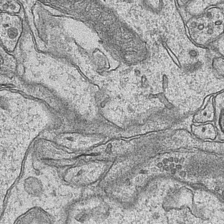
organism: Mouse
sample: CA1 Hippocampus